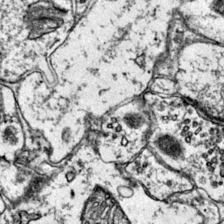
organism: Mouse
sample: Primary visual cortex